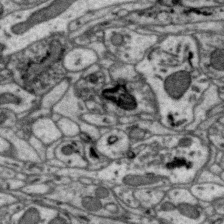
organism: Zebra finch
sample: Brain